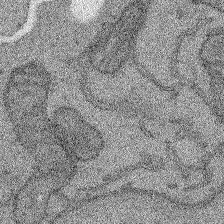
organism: Human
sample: HeLa cells